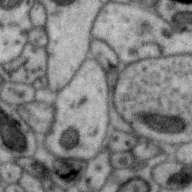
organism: Zebra finch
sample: Brain